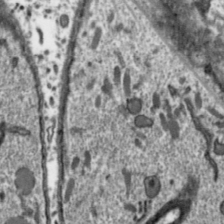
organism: Toxoplasma gondii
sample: Parasites in a vacuole inside a host cell